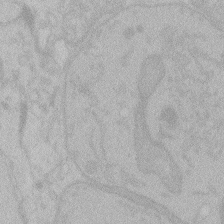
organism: Zebrafish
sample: Macrophage infected with Toxoplasma gondii